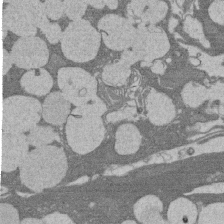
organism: Rat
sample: Salivary granule